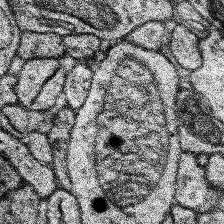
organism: Human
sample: Temporal Lobe